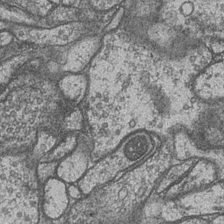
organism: Drosophila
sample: Optic medulla